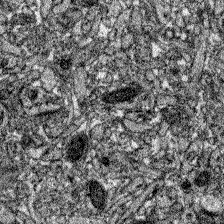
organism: Zebrafish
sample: Larval olfactory bulb